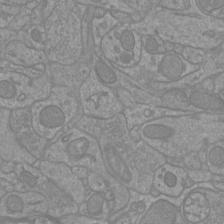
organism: Mouse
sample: Cortical neurons